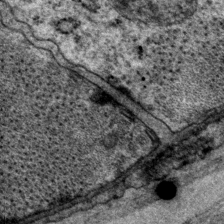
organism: P. pacificus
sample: Pharynx